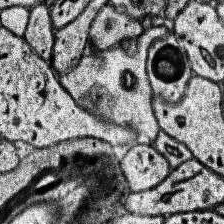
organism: Human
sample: Temporal Lobe